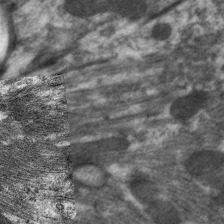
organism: C. elegans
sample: Pharynx